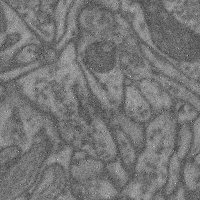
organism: Mouse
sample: Cerebral cortex